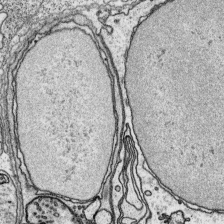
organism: Platynereis dumerilii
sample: Parapodia